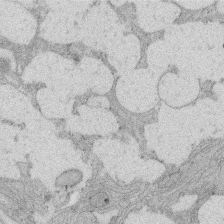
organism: Rat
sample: Salivary granule